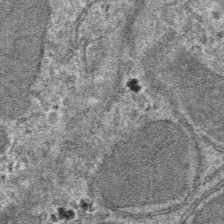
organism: Mouse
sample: Mouse hepatocytes